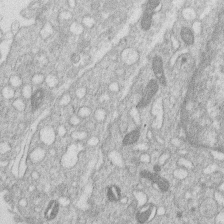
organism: Human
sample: Macrophage cells